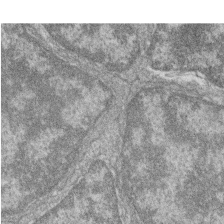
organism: Zebrafish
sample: Cilia; retinal pigment epithelium